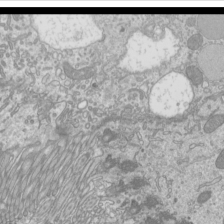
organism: Mouse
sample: Cilia; mouse epididymis